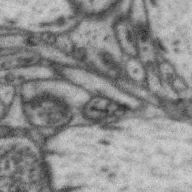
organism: Zebra finch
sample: Brain